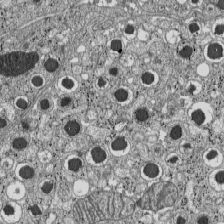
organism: C57BL Mouse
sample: Pancreatic islet